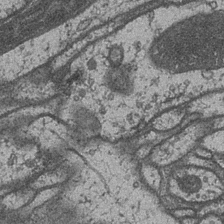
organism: Drosophila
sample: Optic medulla